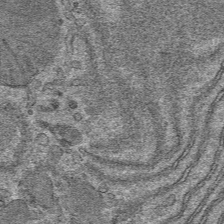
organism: Mouse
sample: Mouse hepatocytes